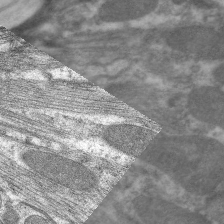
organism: C. elegans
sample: Pharynx